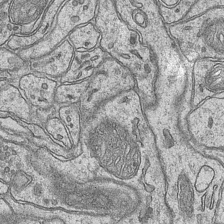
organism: Mouse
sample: CA1 Hippocampus